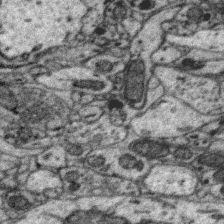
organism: Zebra finch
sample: Brain